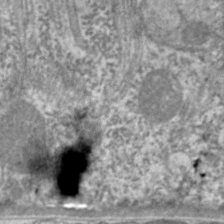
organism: C. elegans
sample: Pharynx